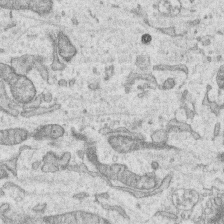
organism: Human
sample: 1205lu cells